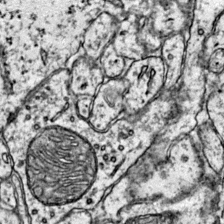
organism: Mouse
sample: Primary visual cortex